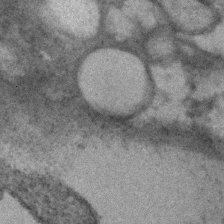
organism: Human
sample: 1205lu cells